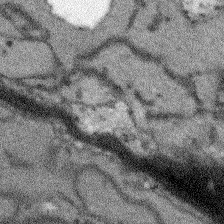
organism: Arabidopsis thaliana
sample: Root tip